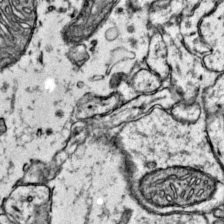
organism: Mouse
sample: Primary visual cortex